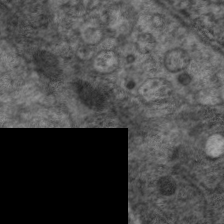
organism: C. elegans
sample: Pharynx